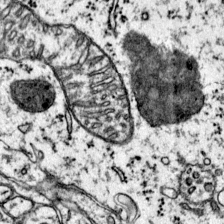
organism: Mouse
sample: Primary visual cortex